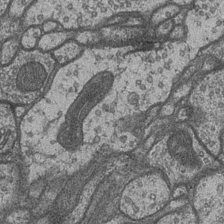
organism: Drosophila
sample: Optic medulla